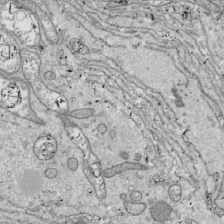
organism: Drosophila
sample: Cell division; meiosis; drosophila spermatocytes